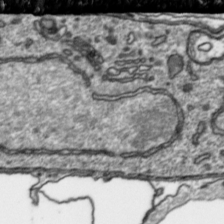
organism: Toxoplasma gondii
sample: Parasites in a vacuole inside a host cell